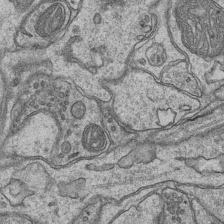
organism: Mouse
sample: CA1 Hippocampus